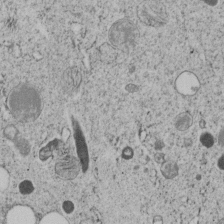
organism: C. elegans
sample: C. elegans embryo early stage